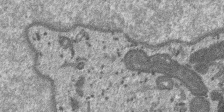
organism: Human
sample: Lung epithelial cells infected with SARS-CoV-2